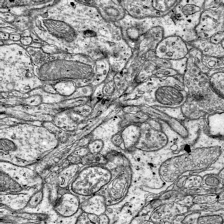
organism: Mouse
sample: Visual Cortex